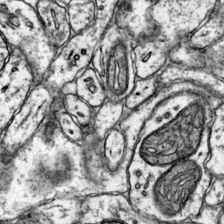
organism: Mouse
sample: Primary visual cortex